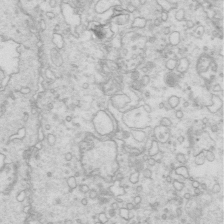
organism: Mouse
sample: Multiciliated cells